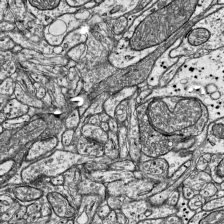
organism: Mouse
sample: Visual Cortex